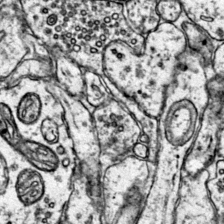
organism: Mouse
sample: Primary visual cortex